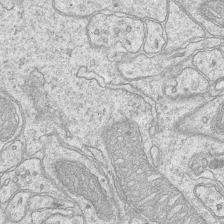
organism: Mouse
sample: CA1 Hippocampus